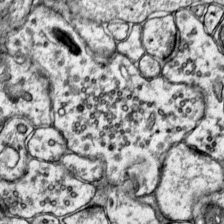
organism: Mouse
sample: Primary visual cortex